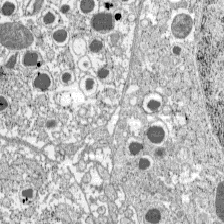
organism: C57BL Mouse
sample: Pancreatic islet